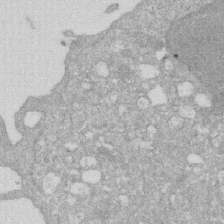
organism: Human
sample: HIV infected U937 cells